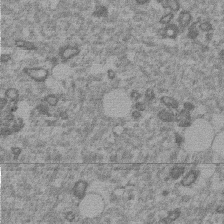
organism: Mouse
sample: Dividing mouse embryo 1 cell stage